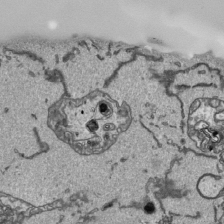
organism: Human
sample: Mitochondria in HCT116 cells